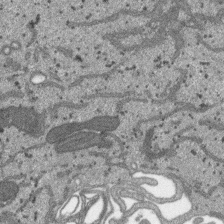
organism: Human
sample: Lung epithelial cells infected with SARS-CoV-2